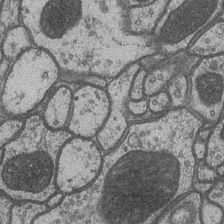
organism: Drosophila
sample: Optic medulla